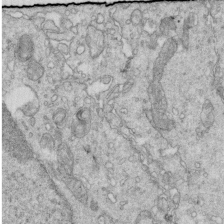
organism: Mouse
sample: Multiciliated cells